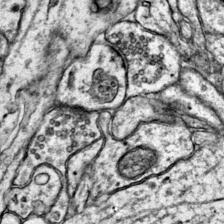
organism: Mouse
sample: Primary visual cortex